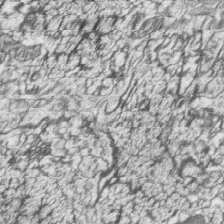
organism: Zebrafish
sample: synaptic ribbons in rod cells and cone cells